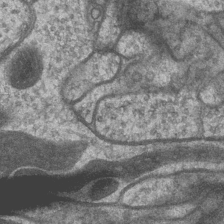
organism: Drosophila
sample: Optic medulla